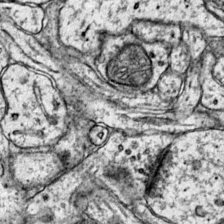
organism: Mouse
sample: Primary visual cortex